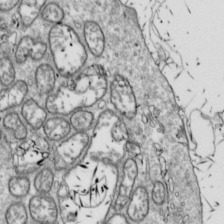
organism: Drosophila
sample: Cell division; meiosis; drosophila spermatocytes